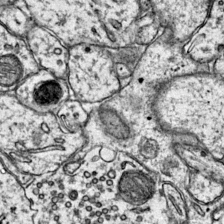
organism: Mouse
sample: Primary visual cortex